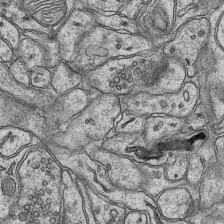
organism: Mouse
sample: CA1 Hippocampus